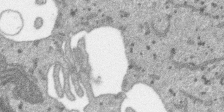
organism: Human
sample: Lung epithelial cells infected with SARS-CoV-2